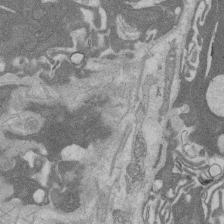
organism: Rat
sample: Salivary granule